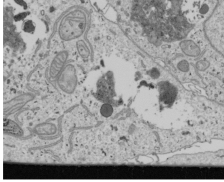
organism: Human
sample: Mitochondria in U2OS cells